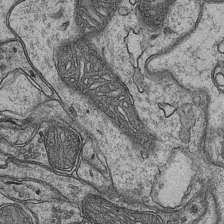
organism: Mouse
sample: CA1 Hippocampus